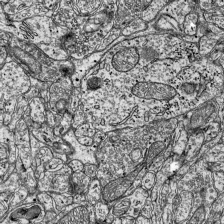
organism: Mouse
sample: Visual Cortex